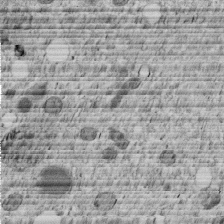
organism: C. elegans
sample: C. elegans embryo early stage